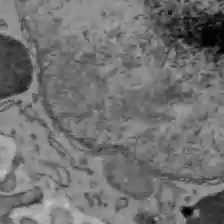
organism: C57BL Mouse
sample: Liver